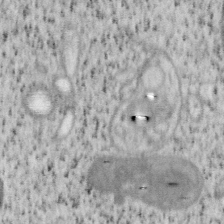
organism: Mouse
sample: OT-I killer T cells with ID8 ovarian cancer cells